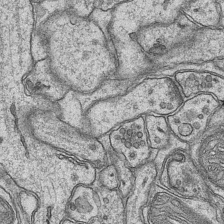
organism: Mouse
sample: CA1 Hippocampus